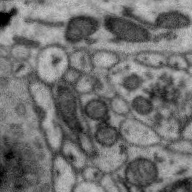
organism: Zebra finch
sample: Brain